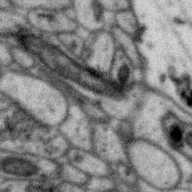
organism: Zebra finch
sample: Brain